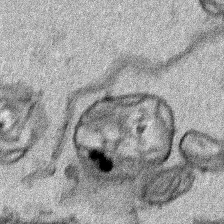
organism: Human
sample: Mitochondria in HCT116 cells